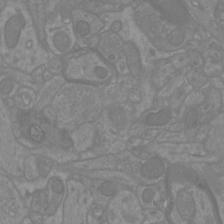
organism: Mouse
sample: Cortical neurons